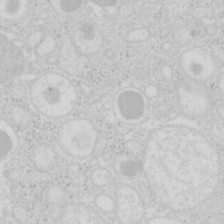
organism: Mouse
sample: Pancreas